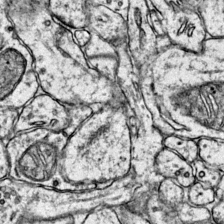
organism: Mouse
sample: Primary visual cortex